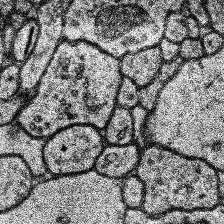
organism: Human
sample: Temporal Lobe